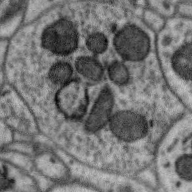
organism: Zebra finch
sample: Brain